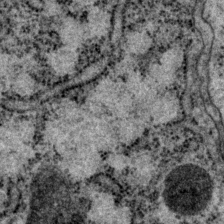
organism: P. pacificus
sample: Pharynx